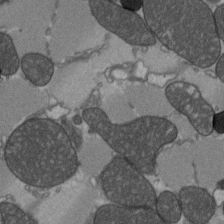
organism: C57BL Mouse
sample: Heart